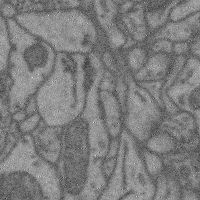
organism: Mouse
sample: Cerebral cortex